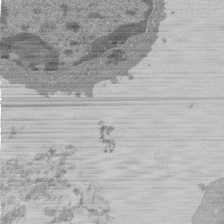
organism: Mouse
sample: Activated Pmel transgenic CD8+ T Cells